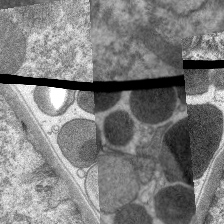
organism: C. elegans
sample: Pharynx